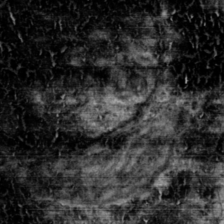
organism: Toxoplasma gondii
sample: Parasites in a vacuole inside a host cell